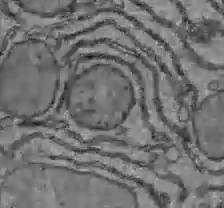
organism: C57BL Mouse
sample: Liver